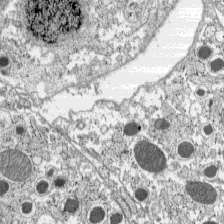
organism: C57BL Mouse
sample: Pancreatic islet